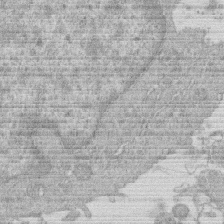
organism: Human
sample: Macrophage cells